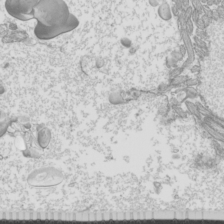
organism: Mouse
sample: Cilia; mouse epididymis